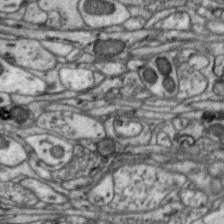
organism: Zebra finch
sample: Brain